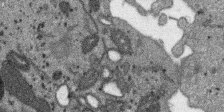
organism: Human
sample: Lung epithelial cells infected with SARS-CoV-2